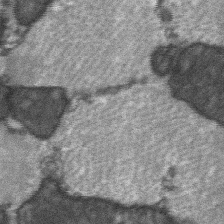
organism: C57BL Mouse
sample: Soleus